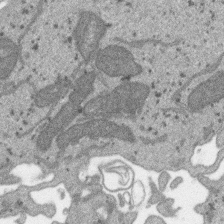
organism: Human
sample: Lung epithelial cells infected with SARS-CoV-2